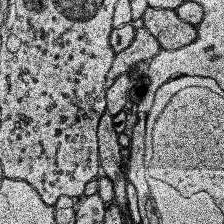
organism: Human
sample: Temporal Lobe